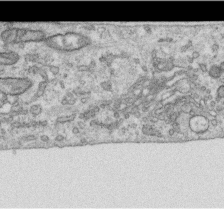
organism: Human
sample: Centriole in RPE cells